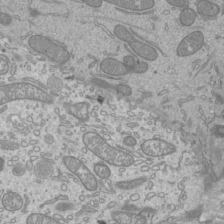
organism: Mouse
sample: Cilia; mouse epididymis